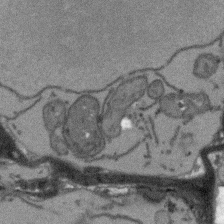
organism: Arabidopsis thaliana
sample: Root tip